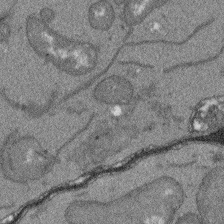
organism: Arabidopsis thaliana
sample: Root tip